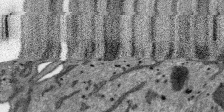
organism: Human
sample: Lung epithelial cells, uninfected (mock) control